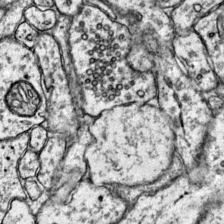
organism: Mouse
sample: Primary visual cortex